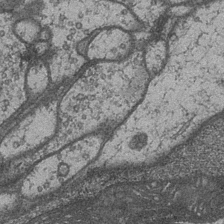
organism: Drosophila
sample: Optic medulla